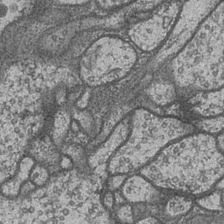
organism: Drosophila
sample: Optic medulla